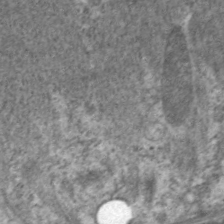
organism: C. elegans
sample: Pharynx